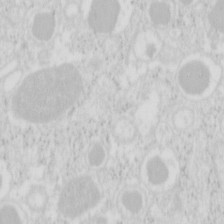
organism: Mouse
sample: Pancreas